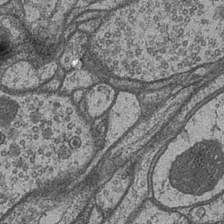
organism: Drosophila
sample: Optic medulla